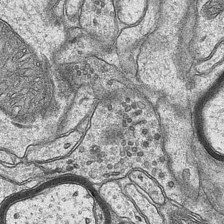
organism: Mouse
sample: CA1 Hippocampus